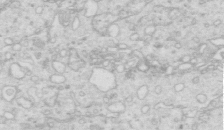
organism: Mouse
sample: Multiciliated cells